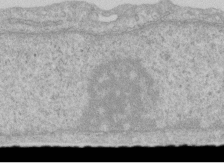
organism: Human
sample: Centriole in RPE cells